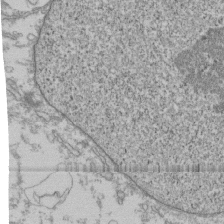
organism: Human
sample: Fibroblast cells